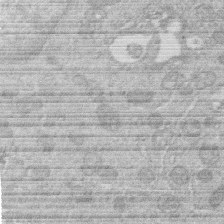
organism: Human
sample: Macrophage cells